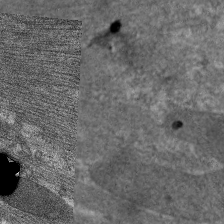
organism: C. elegans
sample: Pharynx